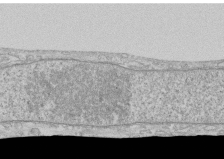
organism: Human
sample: CRL-1474